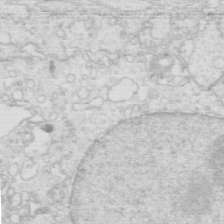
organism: Mouse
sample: Multiciliated cells